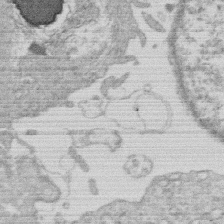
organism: Human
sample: Macrophage cells